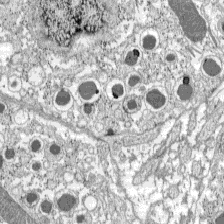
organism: C57BL Mouse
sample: Pancreatic islet